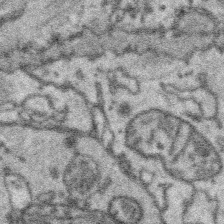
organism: Platynereis dumerilii